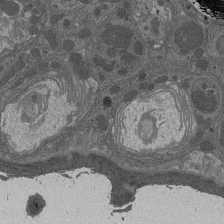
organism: Drosophila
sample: Antenna